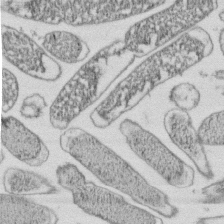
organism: E. coli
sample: Bacterial nucleoid